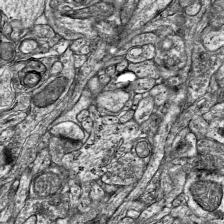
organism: Mouse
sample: Visual Cortex